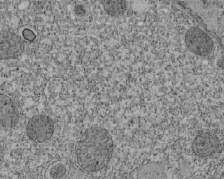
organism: Tetrahymena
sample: Cilia in tetrahymena